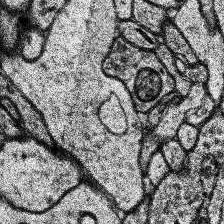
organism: Human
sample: Temporal Lobe